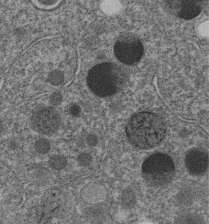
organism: C. elegans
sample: C. elegans embryo early stage